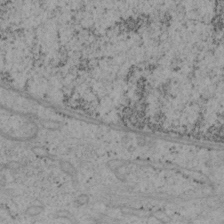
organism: Human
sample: HeLa cells